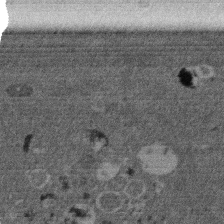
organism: Mouse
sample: Dividing mouse embryo 1 cell stage